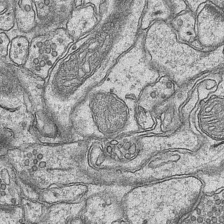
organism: Mouse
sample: CA1 Hippocampus